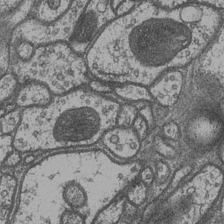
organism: Drosophila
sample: Optic medulla